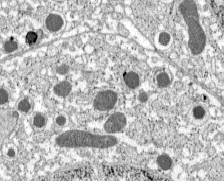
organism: C57BL Mouse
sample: Pancreatic islet